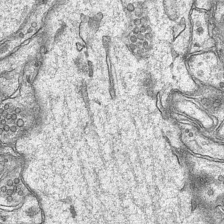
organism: Mouse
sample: CA1 Hippocampus